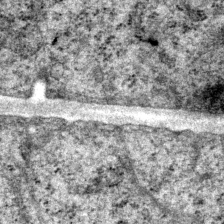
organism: P. pacificus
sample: Pharynx